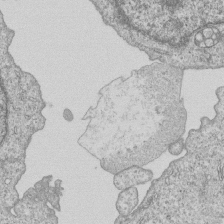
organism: Human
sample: MDA-MB-231 cells